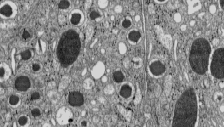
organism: C57BL Mouse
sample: Pancreatic islet